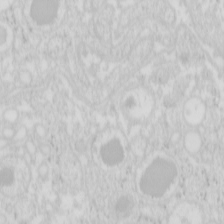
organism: Mouse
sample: Pancreas